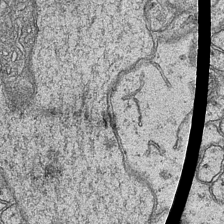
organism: Mouse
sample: CA1 Hippocampus